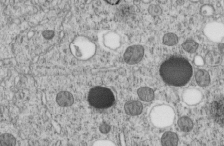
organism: C. elegans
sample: C. elegans embryo early stage